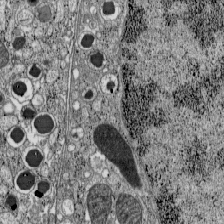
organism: C57BL Mouse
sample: Pancreatic islet